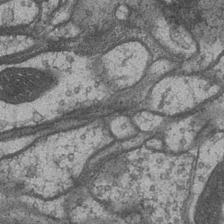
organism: Drosophila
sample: Optic medulla